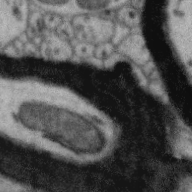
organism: Zebra finch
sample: Brain